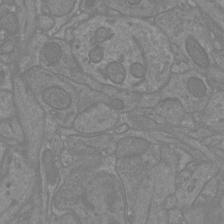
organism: Mouse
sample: Cortical neurons